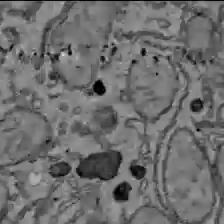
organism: C57BL Mouse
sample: Liver